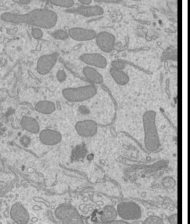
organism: Mouse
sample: Cilia; mouse epididymis